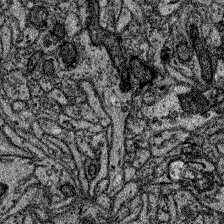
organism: Zebrafish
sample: Larval olfactory bulb